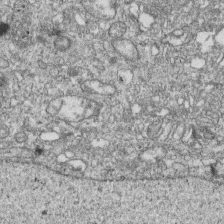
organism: Human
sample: HeLa cell HIV synapse